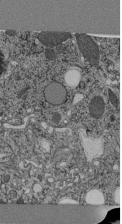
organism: C. elegans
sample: C. elegans pharynx